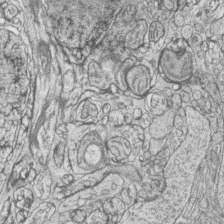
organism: Zebrafish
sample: synaptic ribbons in rod cells and cone cells